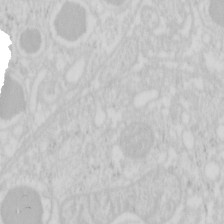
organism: Mouse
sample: Pancreas